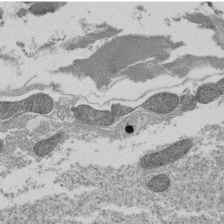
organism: Tetrahymena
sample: Cilia in tetrahymena